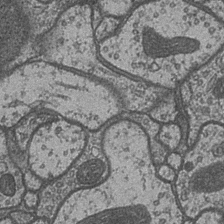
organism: Drosophila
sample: Optic medulla